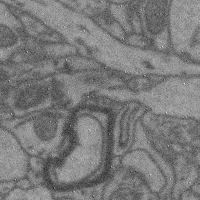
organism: Mouse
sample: Cerebral cortex